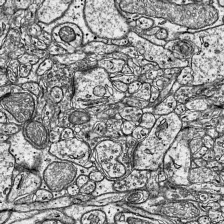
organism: Mouse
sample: Visual Cortex